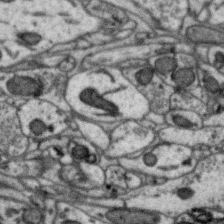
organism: Zebra finch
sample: Brain